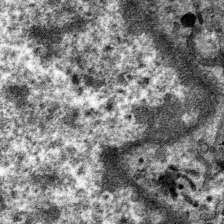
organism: Mouse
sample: Mouse hepatocytes